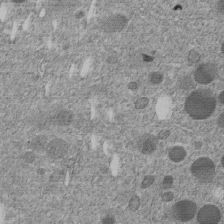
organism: C. elegans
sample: C. elegans embryo early stage